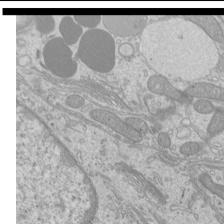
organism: Mouse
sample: Cilia; mouse epididymis